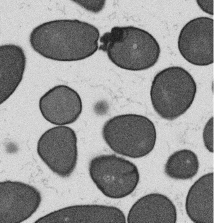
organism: B. subtilis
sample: Bacterial spore